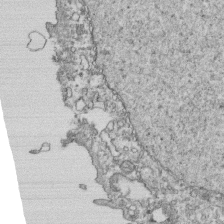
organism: Human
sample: HeLa cell HIV synapse